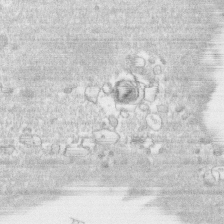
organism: Human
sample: CRL-1474